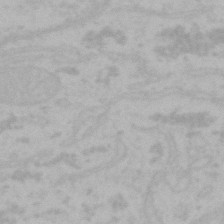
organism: Mouse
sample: Choroid plexus